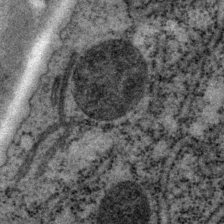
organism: P. pacificus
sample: Pharynx